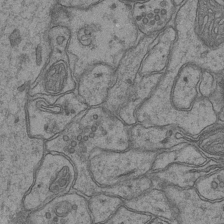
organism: Mouse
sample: CA1 Hippocampus